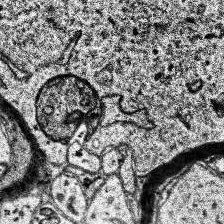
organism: Human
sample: Temporal Lobe